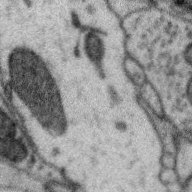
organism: Zebra finch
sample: Brain